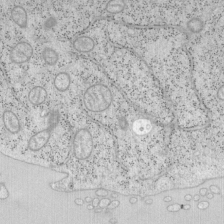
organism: Mouse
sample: OT-I killer T cells with ID8 ovarian cancer cells